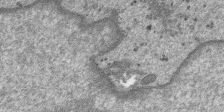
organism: Human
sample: Lung epithelial cells infected with SARS-CoV-2